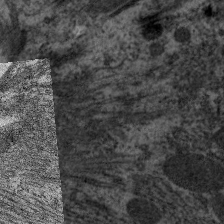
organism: C. elegans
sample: Pharynx